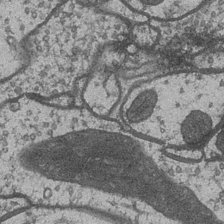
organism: Drosophila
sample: Optic medulla